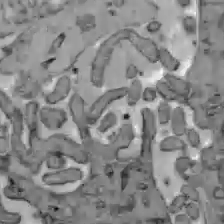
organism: C57BL Mouse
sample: Liver